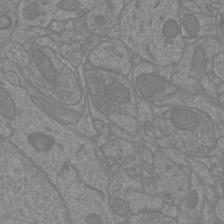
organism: Mouse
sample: Cortical neurons